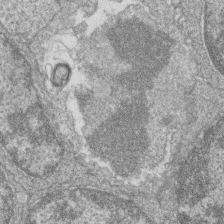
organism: Zebrafish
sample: Cilia; retinal pigment epithelium